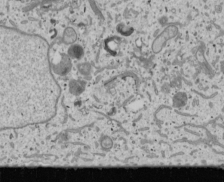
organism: Human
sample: Mitochondria in U2OS cells